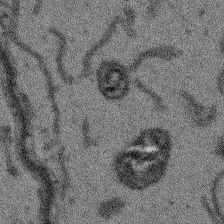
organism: Arabidopsis thaliana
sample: Root tip